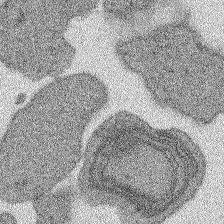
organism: Human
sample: HeLa cells